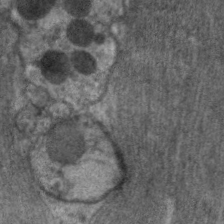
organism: C. elegans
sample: Pharynx